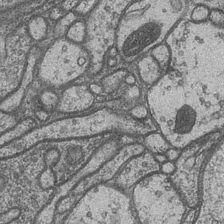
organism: Drosophila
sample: Optic medulla